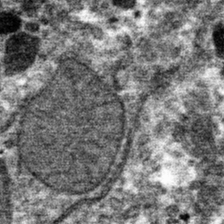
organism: Mouse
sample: Mouse hepatocytes